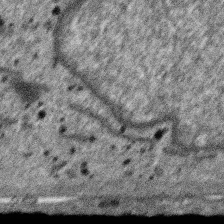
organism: Human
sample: Lung epithelial cells infected with SARS-CoV-2